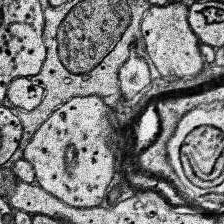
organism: Human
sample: Temporal Lobe